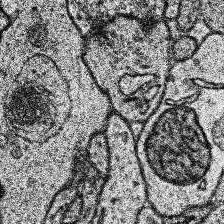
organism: Human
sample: Temporal Lobe